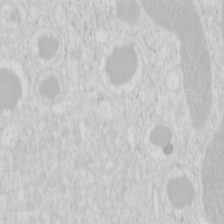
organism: Mouse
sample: Pancreas